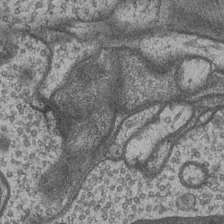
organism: Drosophila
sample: Optic medulla